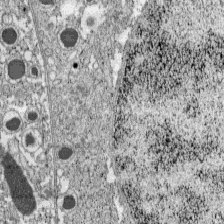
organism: C57BL Mouse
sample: Pancreatic islet